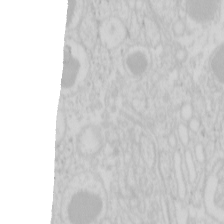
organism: Mouse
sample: Pancreas